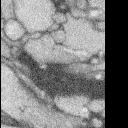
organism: Rabbit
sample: Retina